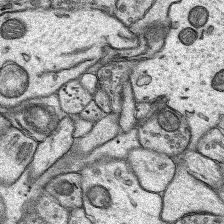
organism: Rat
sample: Hippocampus